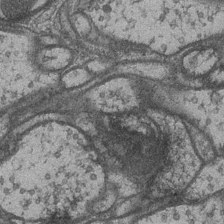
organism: Drosophila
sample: Optic medulla